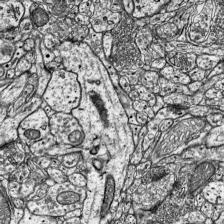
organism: Mouse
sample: Visual Cortex